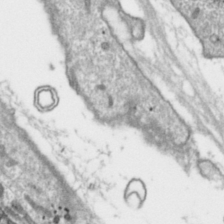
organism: Toxoplasma gondii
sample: Parasites in a vacuole inside a host cell